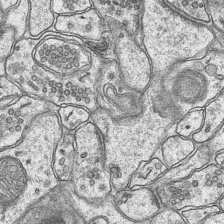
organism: Mouse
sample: CA1 Hippocampus